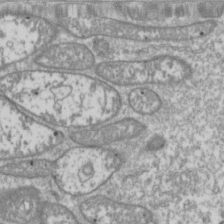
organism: Drosophila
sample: Cell division; meiosis; drosophila spermatocytes